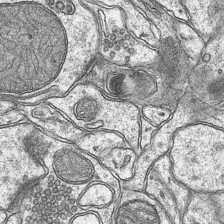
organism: Mouse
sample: CA1 Hippocampus